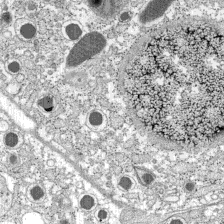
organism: C57BL Mouse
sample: Pancreatic islet